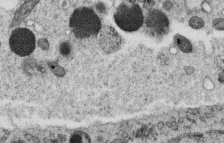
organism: C. elegans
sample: C. elegans oocyte; sperm cells